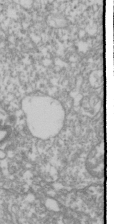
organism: Drosophila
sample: Cell division; meiosis; drosophila spermatocytes